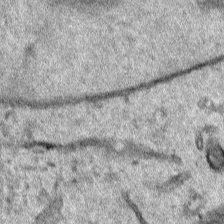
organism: Human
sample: Mitochondria in HCT116 cells